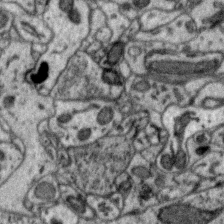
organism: Zebra finch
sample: Brain